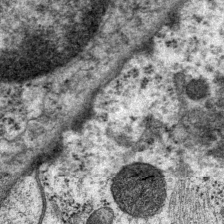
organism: P. pacificus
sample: Pharynx